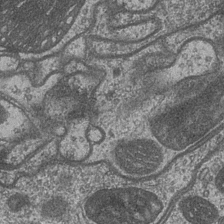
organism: Drosophila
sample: Optic medulla